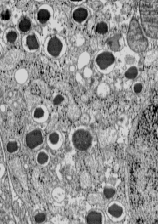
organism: C57BL Mouse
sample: Pancreatic islet